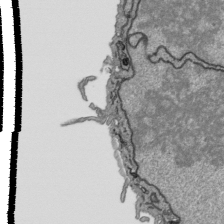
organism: Human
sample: Mitochondria in HCT116 cells